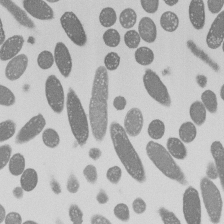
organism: E. coli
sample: Bacterial nucleoid